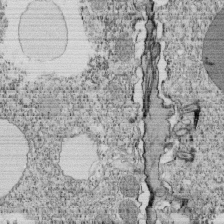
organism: Tetrahymena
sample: Cilia in tetrahymena